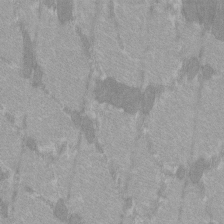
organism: C57BL Mouse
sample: Tibialis anterior muscle cell